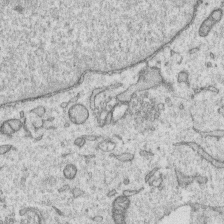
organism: Human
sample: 1205lu cells